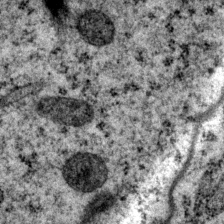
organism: P. pacificus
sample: Pharynx